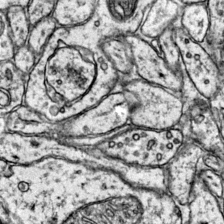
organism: Mouse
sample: Primary visual cortex